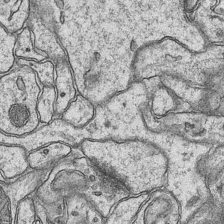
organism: Mouse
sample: CA1 Hippocampus